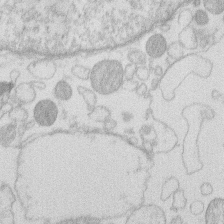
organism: Human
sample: Macrophage cells